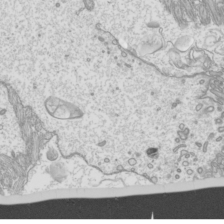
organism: Mouse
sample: Cilia; mouse epididymis